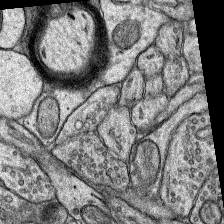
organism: Rat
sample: Hippocampus